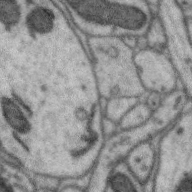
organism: Zebra finch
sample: Brain